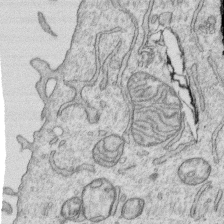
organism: Human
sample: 1205lu cells